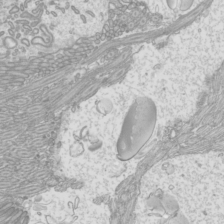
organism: Mouse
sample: Cilia; mouse epididymis